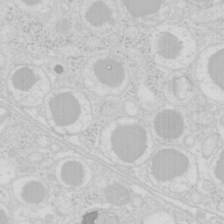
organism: Mouse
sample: Pancreas